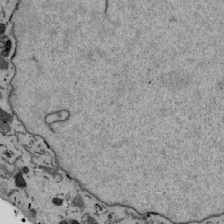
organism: Mouse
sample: ED-1 cell nuclei; centrioles